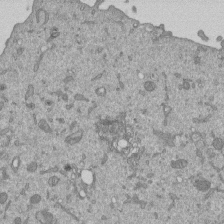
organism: Mouse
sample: ED-1 cell nuclei; centrioles